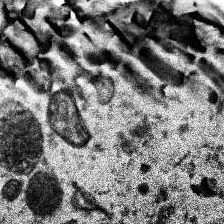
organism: Human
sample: Temporal Lobe